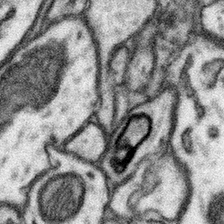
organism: Mouse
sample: Somatosensory cortex neuropil